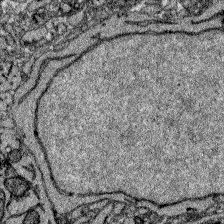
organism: Zebrafish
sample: Larval olfactory bulb